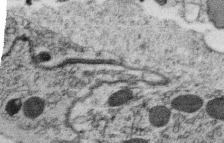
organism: C. elegans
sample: C. elegans oocyte; sperm cells